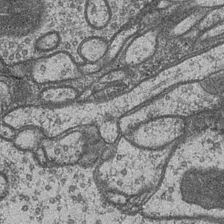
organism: Drosophila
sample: Optic medulla